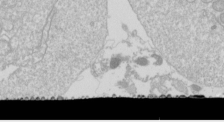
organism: Drosophila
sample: Cell division; meiosis; drosophila spermatocytes